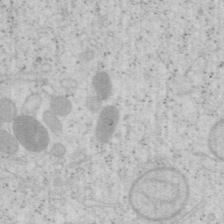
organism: Human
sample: HeLa cells